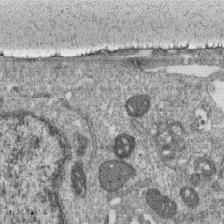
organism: African green monkey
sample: Vero E6 cells infected with SARS-CoV-2